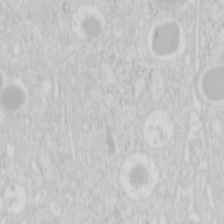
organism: Mouse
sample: Pancreas